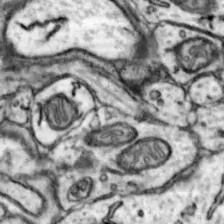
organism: Mouse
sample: Nucleus accumbens